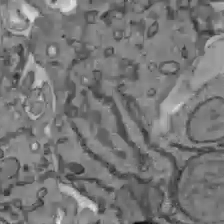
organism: C57BL Mouse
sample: Liver